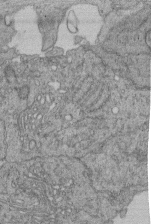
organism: Human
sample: Retinal organoid Rod and Cone cells